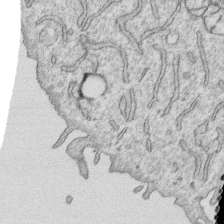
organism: Human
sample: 1205lu cells